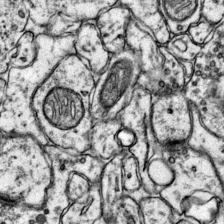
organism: Mouse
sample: Primary visual cortex